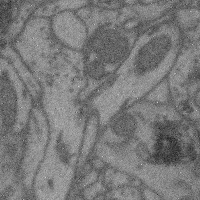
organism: Mouse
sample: Cerebral cortex